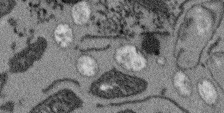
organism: Arabidopsis thaliana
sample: Root tip